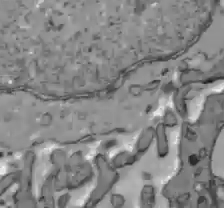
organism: C57BL Mouse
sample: Liver